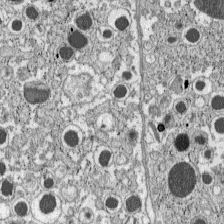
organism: C57BL Mouse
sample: Pancreatic islet